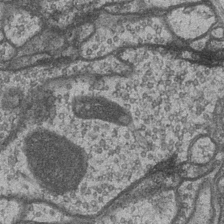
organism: Drosophila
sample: Optic medulla